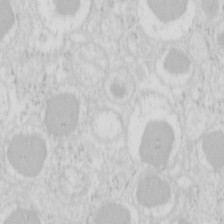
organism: Mouse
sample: Pancreas